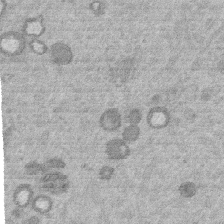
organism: Mouse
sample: Dividing mouse embryo 1 cell stage